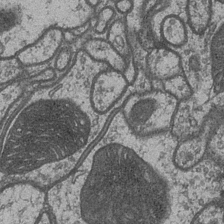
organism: Drosophila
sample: Optic medulla